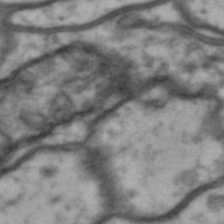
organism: Drosophila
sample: Brain